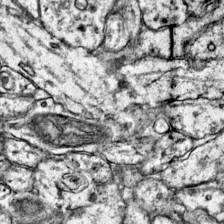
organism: Mouse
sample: Primary visual cortex